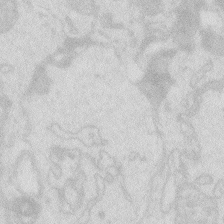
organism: Zebrafish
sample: Macrophage